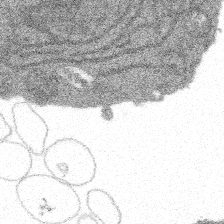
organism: Spongilla lacustris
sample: Multiple